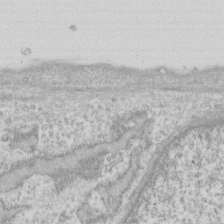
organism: Human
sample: Fibroblast cells